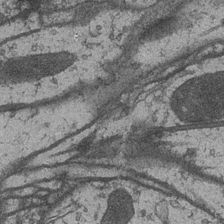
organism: Drosophila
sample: Optic medulla